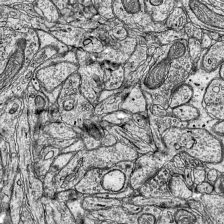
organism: Mouse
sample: Visual Cortex